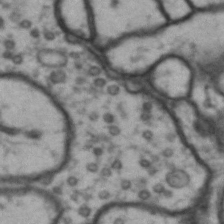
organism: Drosophila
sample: Brain